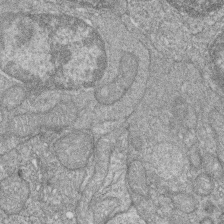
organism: Zebrafish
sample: Cilia; retinal pigment epithelium